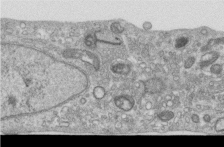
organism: Human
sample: Centriole in RPE cells